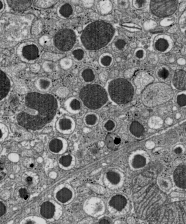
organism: C57BL Mouse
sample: Pancreatic islet